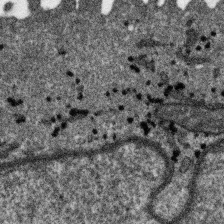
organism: Human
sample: Lung epithelial cells infected with SARS-CoV-2